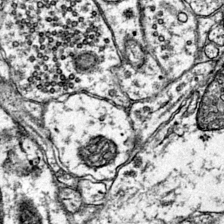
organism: Mouse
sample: Primary visual cortex